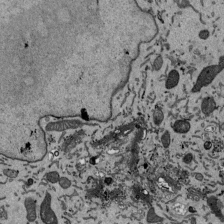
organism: Mouse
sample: ED-1 cell nuclei; centrioles